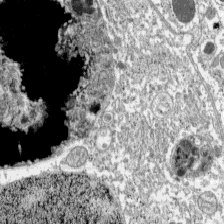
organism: C57BL Mouse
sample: Pancreatic islet